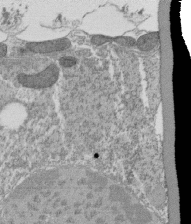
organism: Tetrahymena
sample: Cilia in tetrahymena